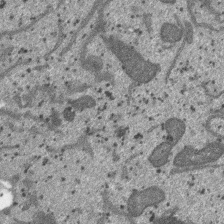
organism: Human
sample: Lung epithelial cells infected with SARS-CoV-2